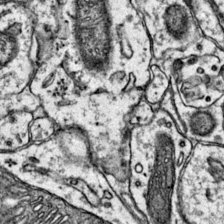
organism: Mouse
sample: Primary visual cortex